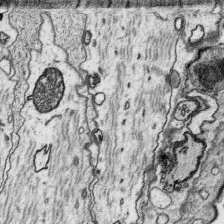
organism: Platynereis dumerilii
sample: Parapodia